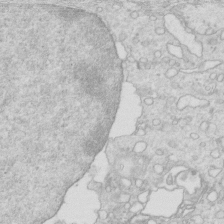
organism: Mouse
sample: Multiciliated cells